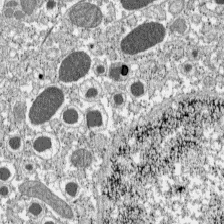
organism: C57BL Mouse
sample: Pancreatic islet